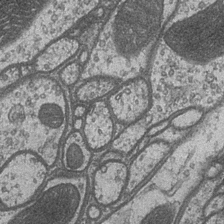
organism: Drosophila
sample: Optic medulla